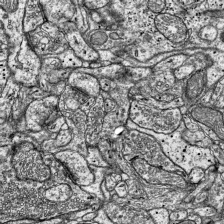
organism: Mouse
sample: Visual Cortex